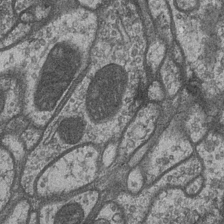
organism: Drosophila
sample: Optic medulla